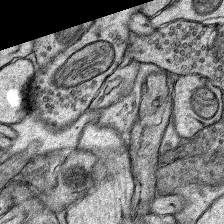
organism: Rat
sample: Hippocampus